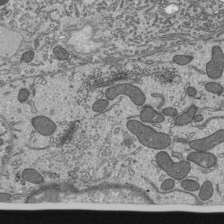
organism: Mouse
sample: Mouse epididymis efferent ductule cilia